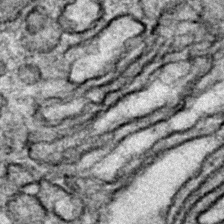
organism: Zebrafish